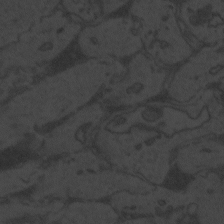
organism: Zebrafish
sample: Macrophage infected with Toxoplasma gondii